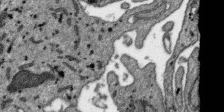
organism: Human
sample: Lung epithelial cells, uninfected (mock) control